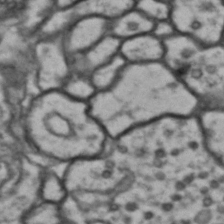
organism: Drosophila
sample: Brain